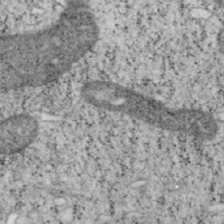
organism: Mouse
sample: OT-I killer T cells with ID8 ovarian cancer cells